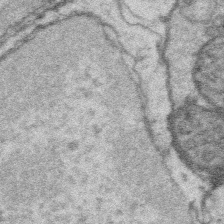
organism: Platynereis dumerilii